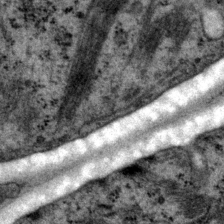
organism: P. pacificus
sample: Pharynx